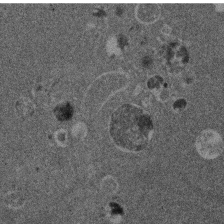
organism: Mouse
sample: Dividing mouse embryo 1 cell stage